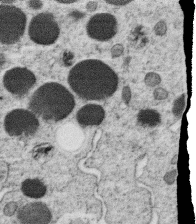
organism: C. elegans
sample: C. elegans oocyte; sperm cells